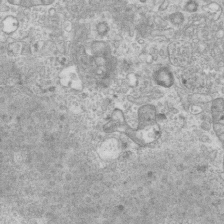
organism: Mouse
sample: Centriole in ependymal cells